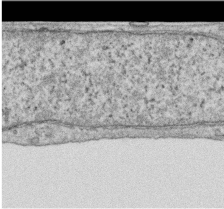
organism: Human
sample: Centriole in RPE cells